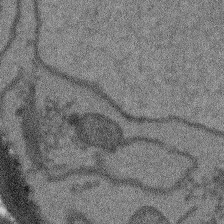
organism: Arabidopsis thaliana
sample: Root tip